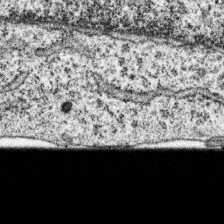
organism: Human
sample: HeLa cells